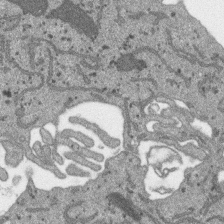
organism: Human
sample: Lung epithelial cells infected with SARS-CoV-2